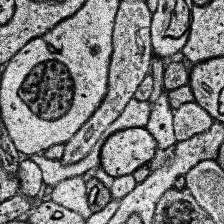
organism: Human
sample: Temporal Lobe